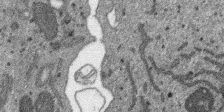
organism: Human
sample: Lung epithelial cells infected with SARS-CoV-2